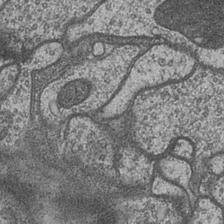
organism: Drosophila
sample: Optic medulla